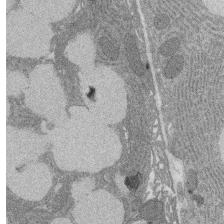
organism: Rat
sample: Salivary granule